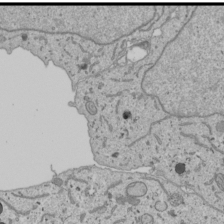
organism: Human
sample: Mitochondria in U2OS cells